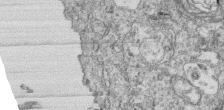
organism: Human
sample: HeLa cell HIV synapse